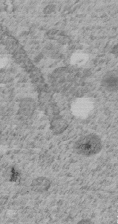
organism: C. elegans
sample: C. elegans embryo early stage